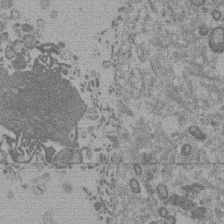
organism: Mouse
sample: Dividing mouse embryo 1 cell stage